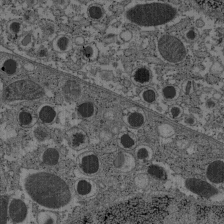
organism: C57BL Mouse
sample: Pancreatic islet